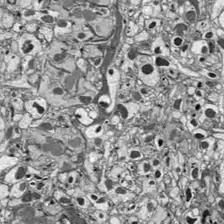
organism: Drosophila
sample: Optic lobe